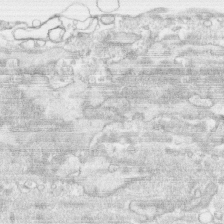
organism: Human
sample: CRL-1474